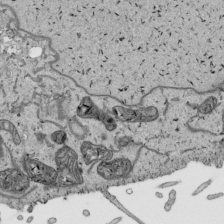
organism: Human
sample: Mitochondria in HCT116 cells